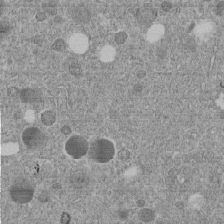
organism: C. elegans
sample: C. elegans embryo early stage